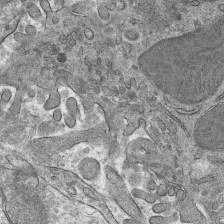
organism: Mouse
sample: Mouse hepatocytes